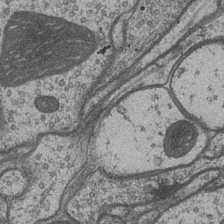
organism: Drosophila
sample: Optic medulla